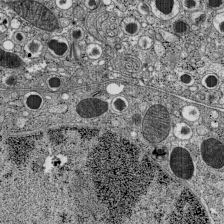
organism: C57BL Mouse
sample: Pancreatic islet